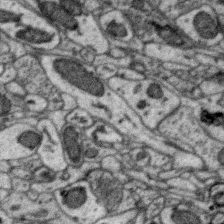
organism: Zebra finch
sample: Brain